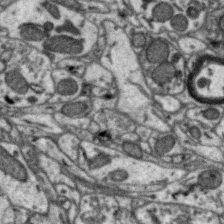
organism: Zebra finch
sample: Brain